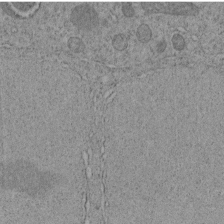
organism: C. elegans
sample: C. elegans embryo early stage